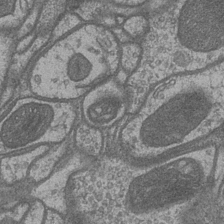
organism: Drosophila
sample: Optic medulla